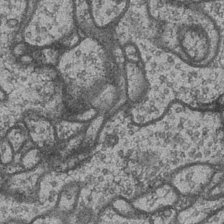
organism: Drosophila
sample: Optic medulla